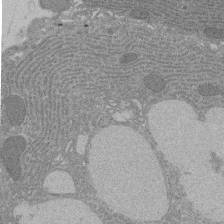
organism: Rat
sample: Salivary granule